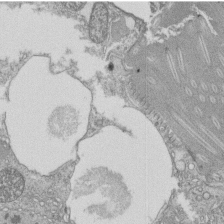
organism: Tetrahymena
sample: Cilia in tetrahymena